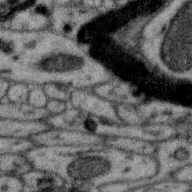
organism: Zebra finch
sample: Brain